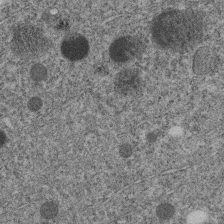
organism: C. elegans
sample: C. elegans embryo early stage